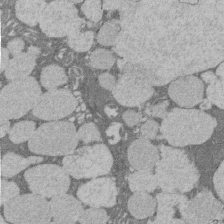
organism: Rat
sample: Salivary granule